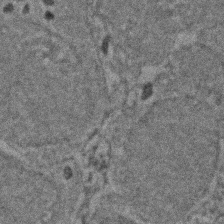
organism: Zebrafish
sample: Zebrafish embryo